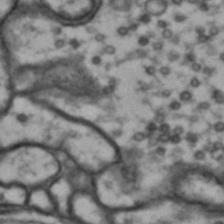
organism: Drosophila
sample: Brain